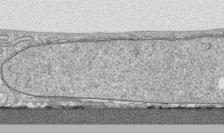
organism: Human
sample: CRL-1474